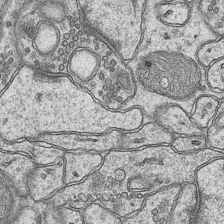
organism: Mouse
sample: CA1 Hippocampus